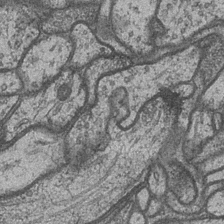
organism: Drosophila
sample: Optic medulla